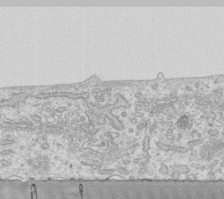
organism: Human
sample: Fibroblast cells